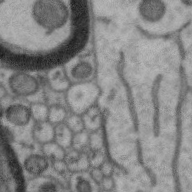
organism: Zebra finch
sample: Brain